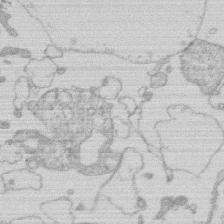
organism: Human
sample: Macrophage cells